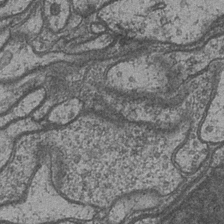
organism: Drosophila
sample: Optic medulla